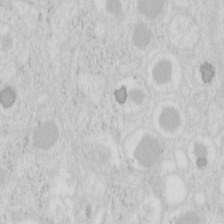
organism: Mouse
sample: Pancreas